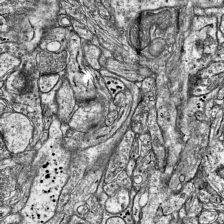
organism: Mouse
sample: Visual Cortex